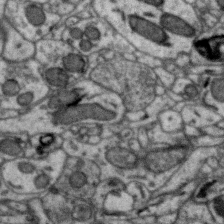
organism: Zebra finch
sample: Brain